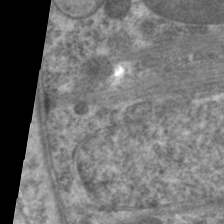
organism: C. elegans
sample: Pharynx